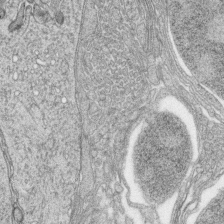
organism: Zebrafish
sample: synaptic ribbons in rod cells and cone cells